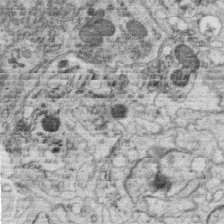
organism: C. elegans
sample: C. elegans oocyte; sperm cells